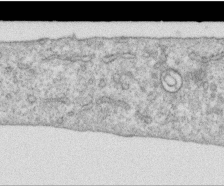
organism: Human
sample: Centriole in RPE cells